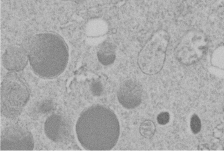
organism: C. elegans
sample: C. elegans embryo early stage